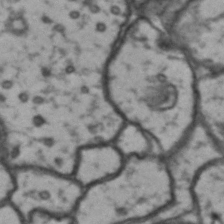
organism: Drosophila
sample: Brain